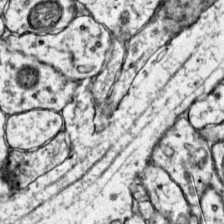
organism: Mouse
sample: Primary visual cortex